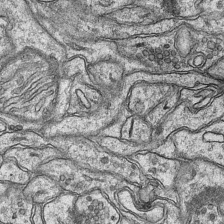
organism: Mouse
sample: CA1 Hippocampus